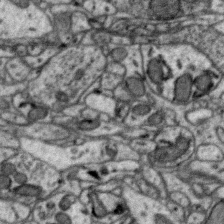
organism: Zebra finch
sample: Brain